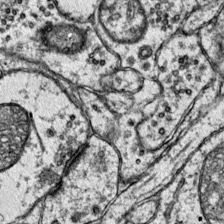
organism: Mouse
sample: Primary visual cortex